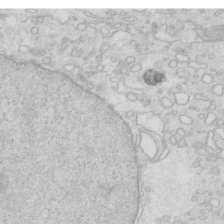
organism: Mouse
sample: Multiciliated cells